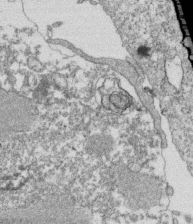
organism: Human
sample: HeLa cell HIV synapse